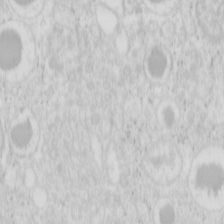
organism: Mouse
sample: Pancreas